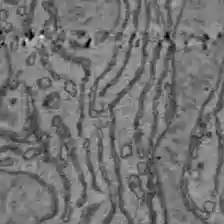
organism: C57BL Mouse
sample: Liver